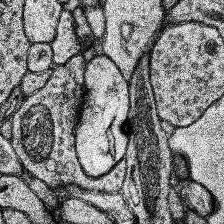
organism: Human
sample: Temporal Lobe